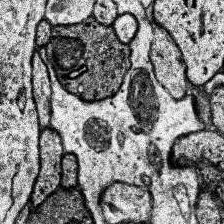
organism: Human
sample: Temporal Lobe